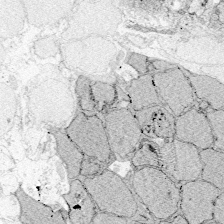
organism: Zebrafish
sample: Whole-Brain